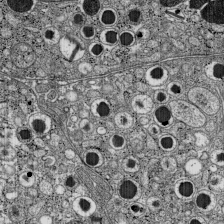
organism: C57BL Mouse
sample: Pancreatic islet